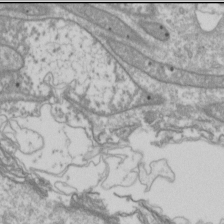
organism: Drosophila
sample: Cell division; meiosis; drosophila spermatocytes